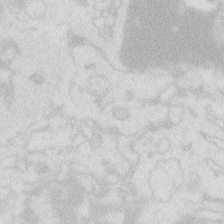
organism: Zebrafish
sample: Macrophage